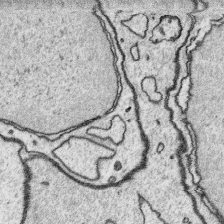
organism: Platynereis dumerilii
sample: Parapodia